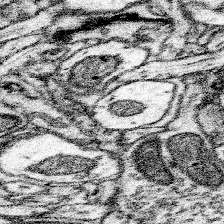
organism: Mouse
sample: Somatosensory cortex neuropil